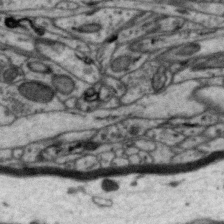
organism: Zebra finch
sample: Brain